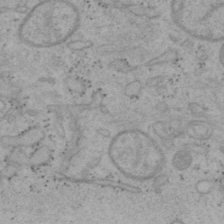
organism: Human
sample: HeLa cells